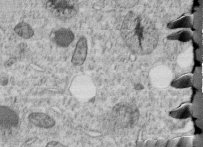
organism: C. elegans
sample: C. elegans embryo early stage